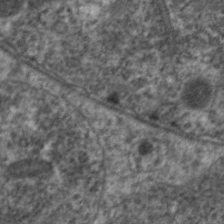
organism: C. elegans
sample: Pharynx